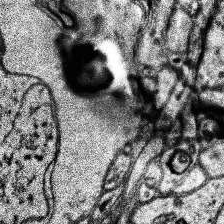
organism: Human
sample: Temporal Lobe